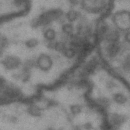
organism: Drosophila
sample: Brain